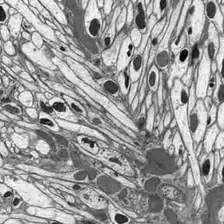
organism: Drosophila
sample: Optic lobe